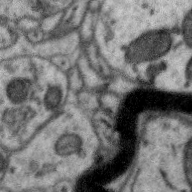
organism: Zebra finch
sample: Brain